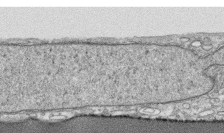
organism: Human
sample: CRL-1474